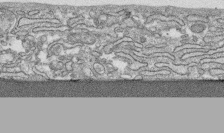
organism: Human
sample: CRL-1474